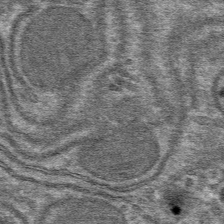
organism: Mouse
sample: Mouse hepatocytes